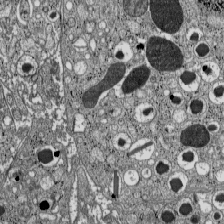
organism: C57BL Mouse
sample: Pancreatic islet